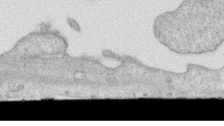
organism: Human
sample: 1205lu cells